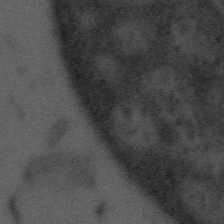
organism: Tuwongella immobilis